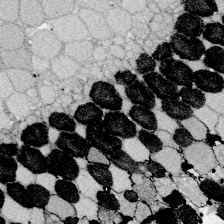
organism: Zebrafish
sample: Whole-Brain